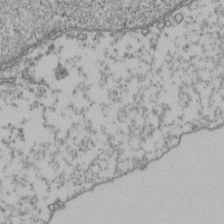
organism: Human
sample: Activated Jurkat CD4+ T cells